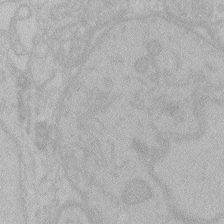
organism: Zebrafish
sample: Macrophage infected with Toxoplasma gondii